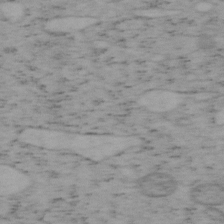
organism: Mouse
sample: OT-I killer T cells with ID8 ovarian cancer cells